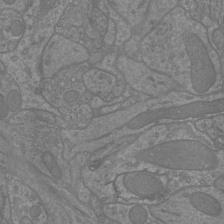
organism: Mouse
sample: Cortical neurons